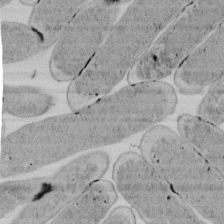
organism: E. coli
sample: Bacterial nucleoid